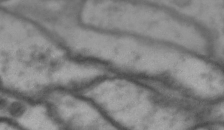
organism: Drosophila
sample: Brain